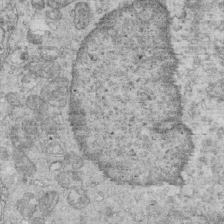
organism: Mouse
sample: Multiciliated cells